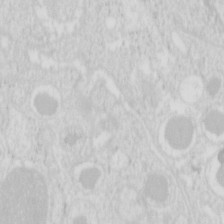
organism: Mouse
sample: Pancreas